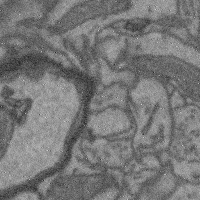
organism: Mouse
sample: Cerebral cortex